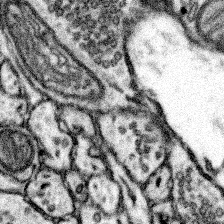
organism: Mouse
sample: Somatosensory cortex neuropil